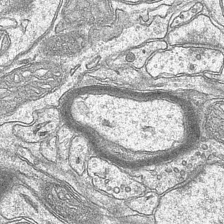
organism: Mouse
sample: CA1 Hippocampus